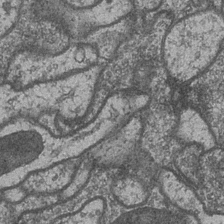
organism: Drosophila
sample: Optic medulla